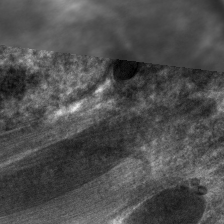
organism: C. elegans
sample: Pharynx